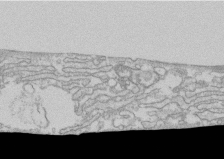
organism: Human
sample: CRL-1474